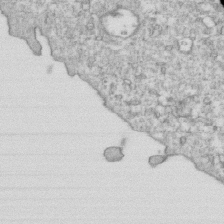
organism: Mouse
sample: Activated OT-1 CD8+ T cells